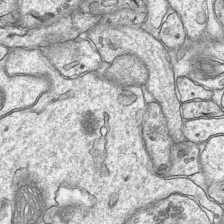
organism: Mouse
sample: CA1 Hippocampus